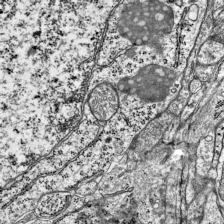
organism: Mouse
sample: Visual Cortex